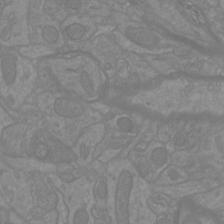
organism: Mouse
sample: Cortical neurons